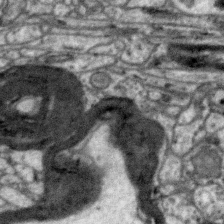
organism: Zebra finch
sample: Brain